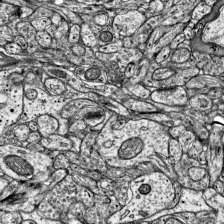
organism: Mouse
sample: Visual Cortex